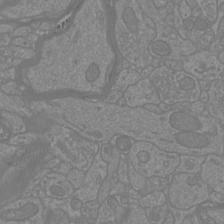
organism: Mouse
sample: Cortical neurons